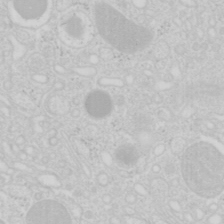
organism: Mouse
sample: Pancreas